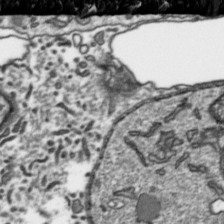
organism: Toxoplasma gondii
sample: Parasites in a vacuole inside a host cell